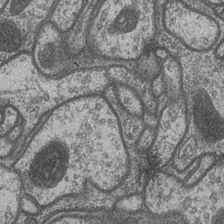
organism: Drosophila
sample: Optic medulla